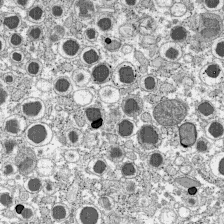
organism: C57BL Mouse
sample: Pancreatic islet